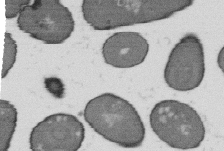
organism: B. subtilis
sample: Bacterial spore